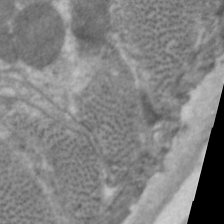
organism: C. elegans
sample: Pharynx